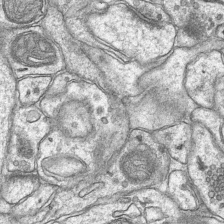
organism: Mouse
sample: CA1 Hippocampus